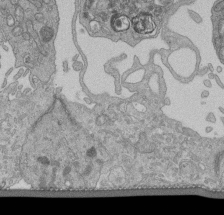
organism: Human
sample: Retinal organoid Rod and Cone cells